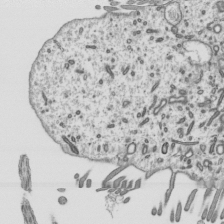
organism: Mouse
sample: Mouse epididymis efferent ductule cilia